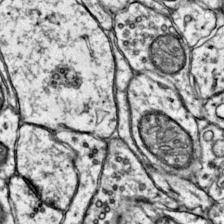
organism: Mouse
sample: Primary visual cortex